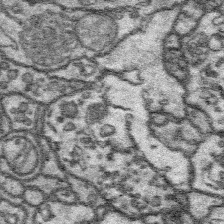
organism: Platynereis dumerilii